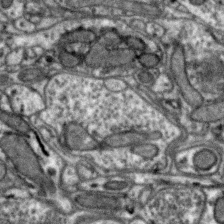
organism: Zebra finch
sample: Brain